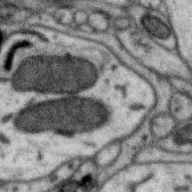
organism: Zebra finch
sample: Brain